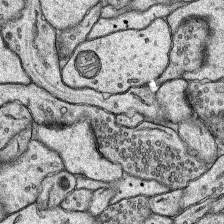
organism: Rat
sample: Hippocampus